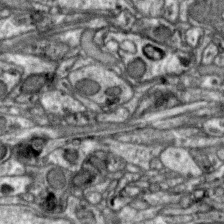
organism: Zebra finch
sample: Brain